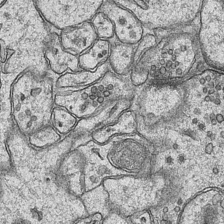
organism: Mouse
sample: CA1 Hippocampus